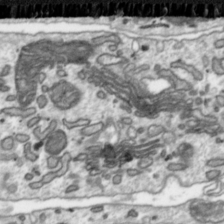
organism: Toxoplasma gondii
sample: Parasites in a vacuole inside a host cell